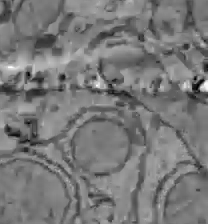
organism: C57BL Mouse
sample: Liver